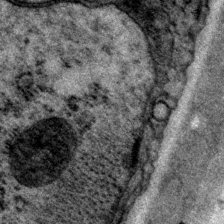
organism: P. pacificus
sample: Pharynx